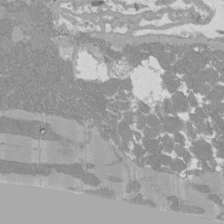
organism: Rat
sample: Left ventricle